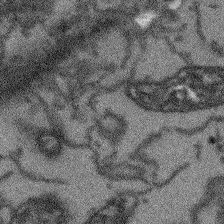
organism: Arabidopsis thaliana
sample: Root tip